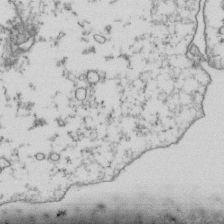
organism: Human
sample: Activated Jurkat CD4+ T cells